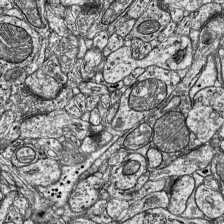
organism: Mouse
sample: Visual Cortex